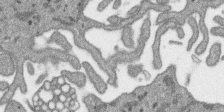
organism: Human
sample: Lung epithelial cells infected with SARS-CoV-2